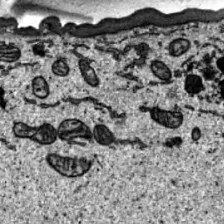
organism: Human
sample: HeLa cells